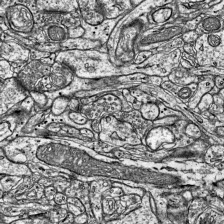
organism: Mouse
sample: Visual Cortex